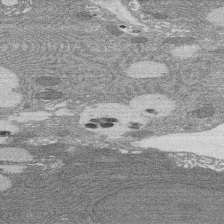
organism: Rat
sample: Salivary granule